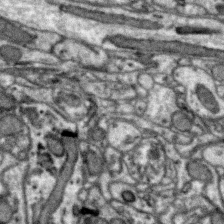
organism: Zebra finch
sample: Brain